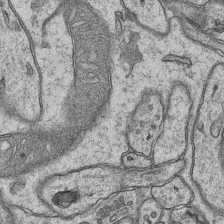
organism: Mouse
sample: CA1 Hippocampus